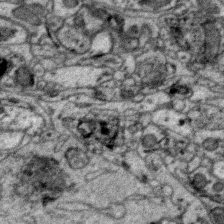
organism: Zebra finch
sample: Brain